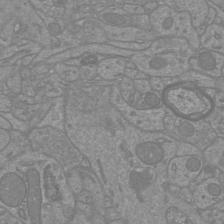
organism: Mouse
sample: Cortical neurons